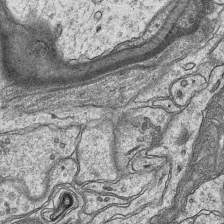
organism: Mouse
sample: CA1 Hippocampus